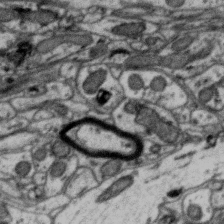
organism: Zebra finch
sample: Brain